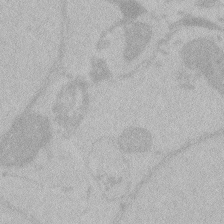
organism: Zebrafish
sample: Macrophage infected with Toxoplasma gondii